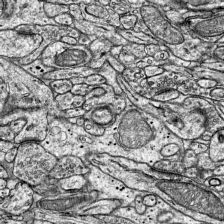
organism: Mouse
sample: Visual Cortex